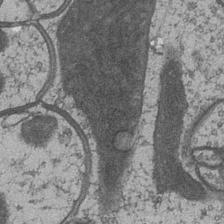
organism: Drosophila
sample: Optic medulla